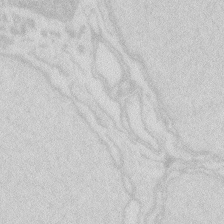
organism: Zebrafish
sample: Macrophage